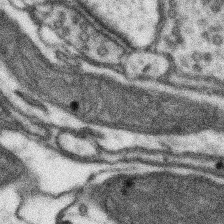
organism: Mouse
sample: Somatosensory cortex neuropil